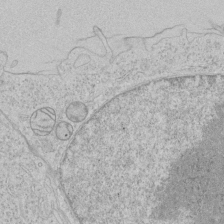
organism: Human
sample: Mitochondria in HCT116 cells